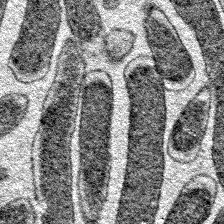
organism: E. coli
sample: E. Coli Bacteria